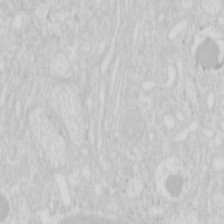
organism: Mouse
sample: Pancreas